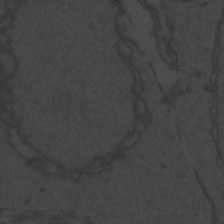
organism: Zebrafish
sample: Macrophage infected with Toxoplasma gondii